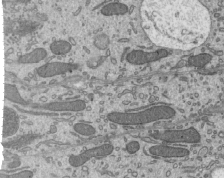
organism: Mouse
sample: Mouse epididymis efferent ductule cilia